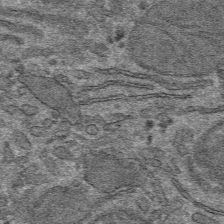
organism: Mouse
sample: Mouse hepatocytes